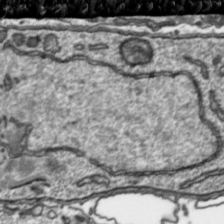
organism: Toxoplasma gondii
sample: Parasites in a vacuole inside a host cell